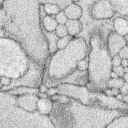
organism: Rabbit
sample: Retina